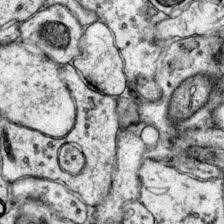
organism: Mouse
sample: Primary visual cortex